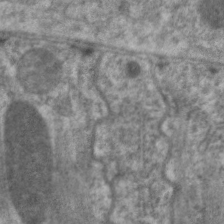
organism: C. elegans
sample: Pharynx